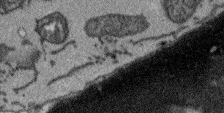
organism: Arabidopsis thaliana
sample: Root tip